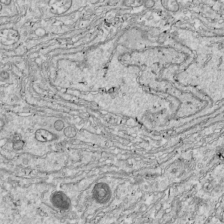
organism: Drosophila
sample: Cell division; meiosis; drosophila spermatocytes